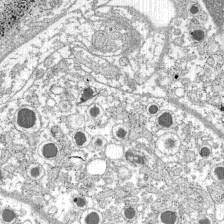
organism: C57BL Mouse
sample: Pancreatic islet